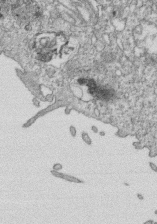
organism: Human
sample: HeLa cell HIV synapse